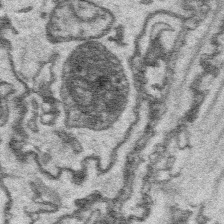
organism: Platynereis dumerilii